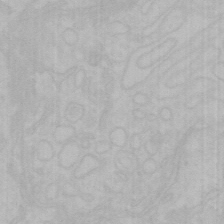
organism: Mouse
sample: Choroid plexus